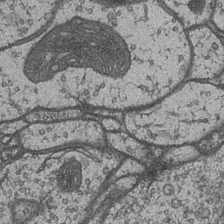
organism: Drosophila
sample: Optic medulla